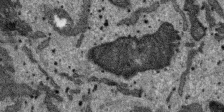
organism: Human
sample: Lung epithelial cells, uninfected (mock) control